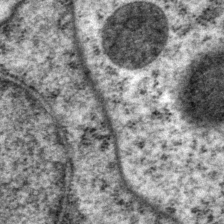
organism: P. pacificus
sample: Pharynx